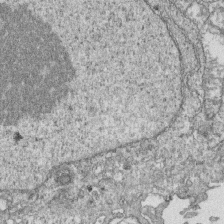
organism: Human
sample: HeLa cell HIV synapse